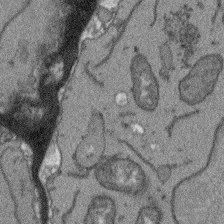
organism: Arabidopsis thaliana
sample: Root tip